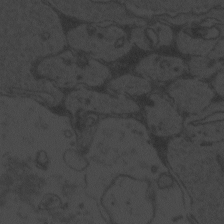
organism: Zebrafish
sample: Macrophage infected with Toxoplasma gondii